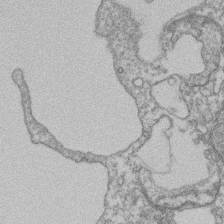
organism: Mouse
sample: T cell stromal cell synapse